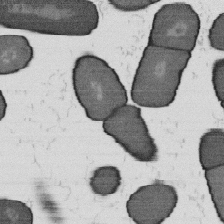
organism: B. subtilis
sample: Bacterial spore